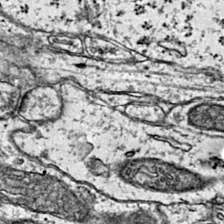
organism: Mouse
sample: Primary visual cortex